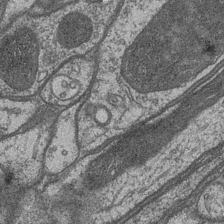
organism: Drosophila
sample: Optic medulla